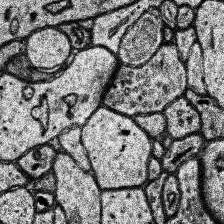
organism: Human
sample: Temporal Lobe